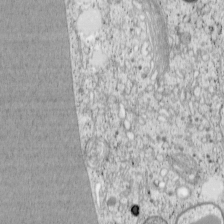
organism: African green monkey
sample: COS-7 cells